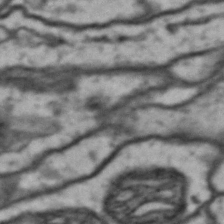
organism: Drosophila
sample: Brain